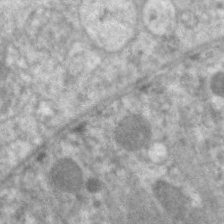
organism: C. elegans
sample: Pharynx